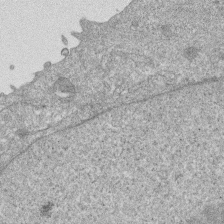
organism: Human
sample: HeLa cell HIV synapse